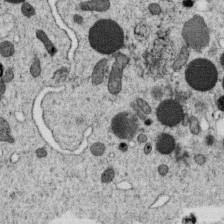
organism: C. elegans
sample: C. elegans oocyte; sperm cells